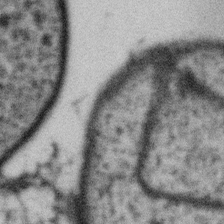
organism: Gemmata obscuriglobus